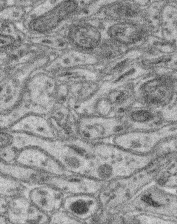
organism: Mouse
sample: Retina